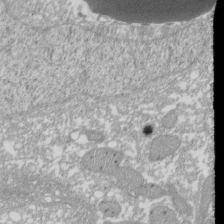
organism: Xenopus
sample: Cilia; centrioles in frog embryo cells